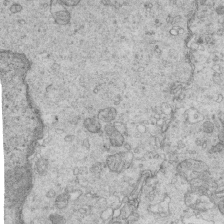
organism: Mouse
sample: Multiciliated cells